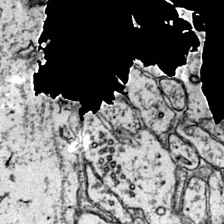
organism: Mouse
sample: Primary visual cortex